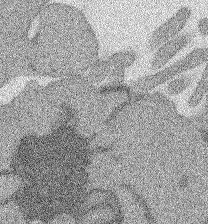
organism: Human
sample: HeLa cells